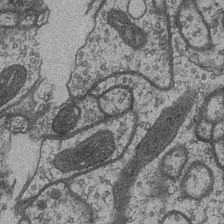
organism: Drosophila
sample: Optic medulla